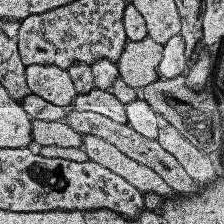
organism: Human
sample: Temporal Lobe